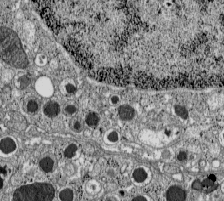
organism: C57BL Mouse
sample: Pancreatic islet